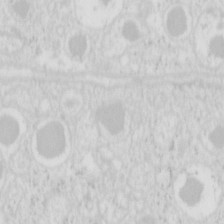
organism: Mouse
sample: Pancreas